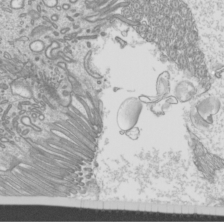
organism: Mouse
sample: Cilia; mouse epididymis